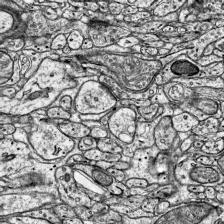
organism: Mouse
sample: Visual Cortex